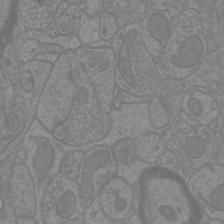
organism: Mouse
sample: Cortical neurons